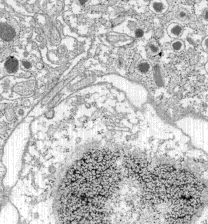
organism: C57BL Mouse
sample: Pancreatic islet